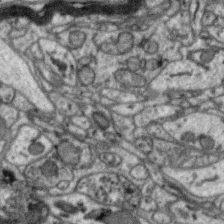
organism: Zebra finch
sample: Brain